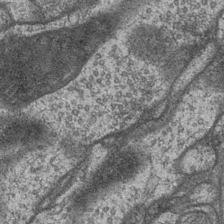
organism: Drosophila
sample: Optic medulla